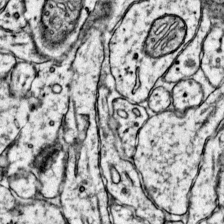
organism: Mouse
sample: Primary visual cortex